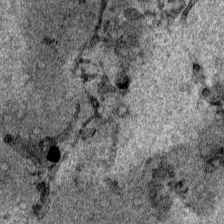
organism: Human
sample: Mitochondria in HCT116 cells